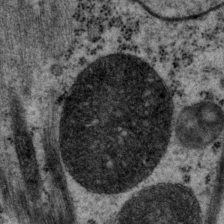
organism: P. pacificus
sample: Pharynx